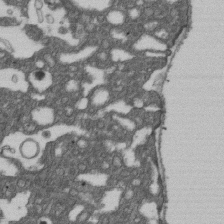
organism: Drosophila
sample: Nephrocyte